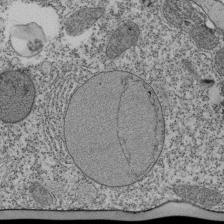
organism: Tetrahymena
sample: Cilia in tetrahymena